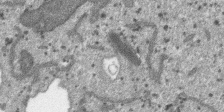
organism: Human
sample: Lung epithelial cells infected with SARS-CoV-2